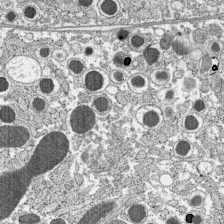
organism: C57BL Mouse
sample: Pancreatic islet